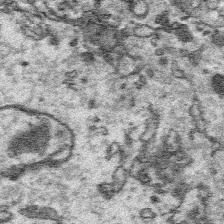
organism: Platynereis dumerilii